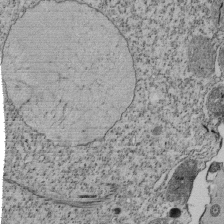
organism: Tetrahymena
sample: Cilia in tetrahymena